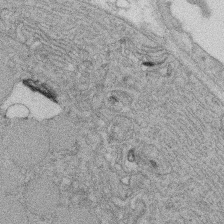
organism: Rat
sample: Salivary granule